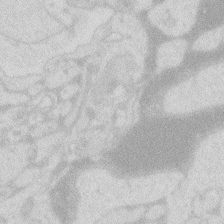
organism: Zebrafish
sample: Macrophage